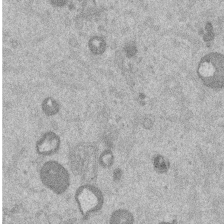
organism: Mouse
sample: Dividing mouse embryo 1 cell stage